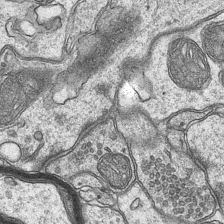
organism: Mouse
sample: CA1 Hippocampus